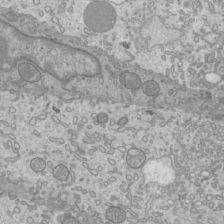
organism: Mouse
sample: Cilia; mouse epididymis